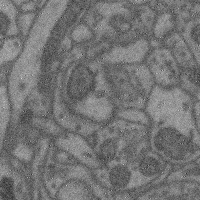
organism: Mouse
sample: Cerebral cortex